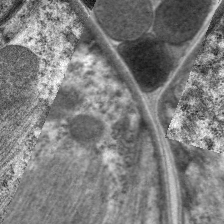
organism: C. elegans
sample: Pharynx